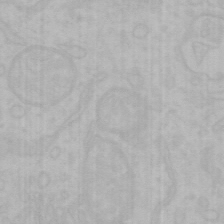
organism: Mouse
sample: Choroid plexus